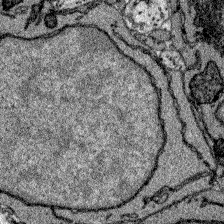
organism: Zebrafish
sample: Larval olfactory bulb